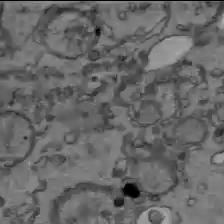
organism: C57BL Mouse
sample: Liver